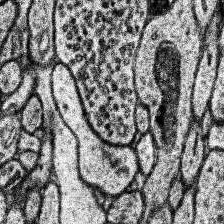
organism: Human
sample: Temporal Lobe